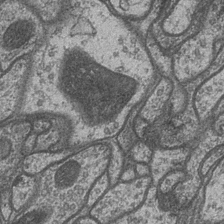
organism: Drosophila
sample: Optic medulla